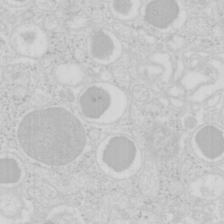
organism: Mouse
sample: Pancreas